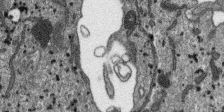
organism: Human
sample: Lung epithelial cells infected with SARS-CoV-2